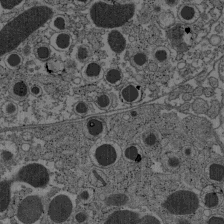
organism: C57BL Mouse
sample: Pancreatic islet